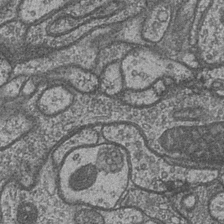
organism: Drosophila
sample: Optic medulla